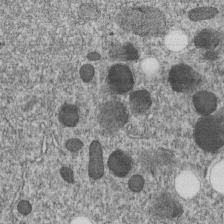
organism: C. elegans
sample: C. elegans embryo early stage